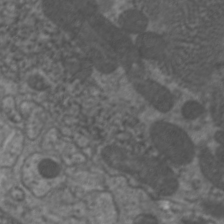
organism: C. elegans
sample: Pharynx